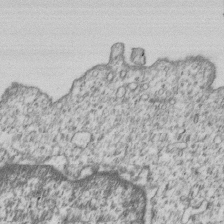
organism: Human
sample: MDA-MB-231 cells